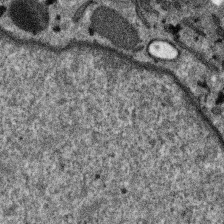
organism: Human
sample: Lung epithelial cells infected with SARS-CoV-2